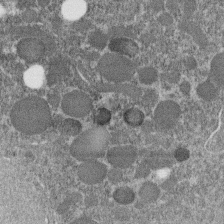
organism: C. elegans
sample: C. elegans embryo early stage